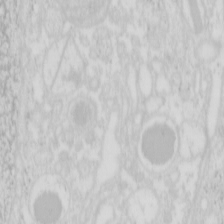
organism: Mouse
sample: Pancreas